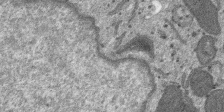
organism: Human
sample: Lung epithelial cells infected with SARS-CoV-2